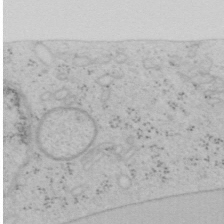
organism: Human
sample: HeLa cells